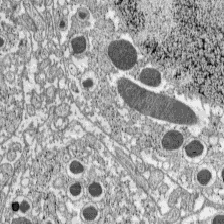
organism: C57BL Mouse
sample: Pancreatic islet